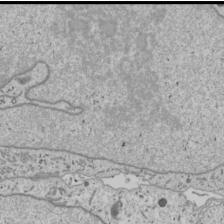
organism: Human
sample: Mitochondria in U2OS cells